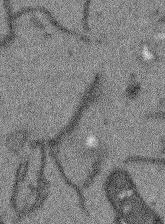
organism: Arabidopsis thaliana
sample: Root tip